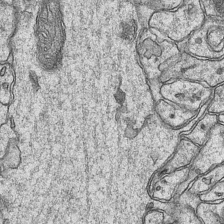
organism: Mouse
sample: CA1 Hippocampus